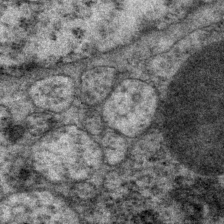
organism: P. pacificus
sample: Pharynx